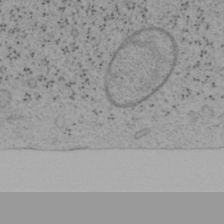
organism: Human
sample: HeLa cells